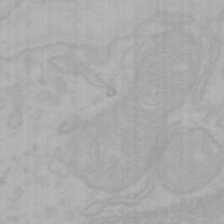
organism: Mouse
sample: Choroid plexus